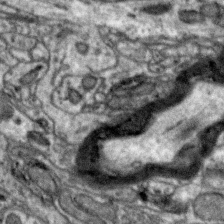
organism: Zebra finch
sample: Brain